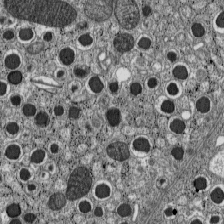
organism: C57BL Mouse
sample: Pancreatic islet